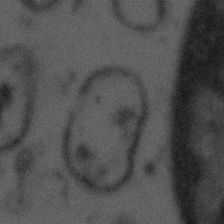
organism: Tuwongella immobilis